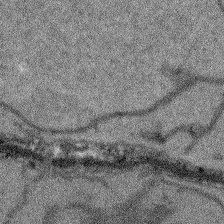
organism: Arabidopsis thaliana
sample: Root tip